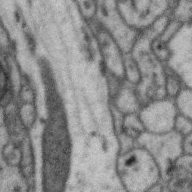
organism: Zebra finch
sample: Brain